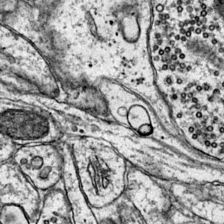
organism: Mouse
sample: Primary visual cortex